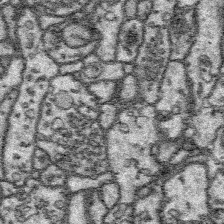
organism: Platynereis dumerilii